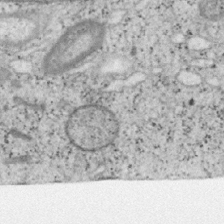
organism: Mouse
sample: OT-I killer T cells with ID8 ovarian cancer cells